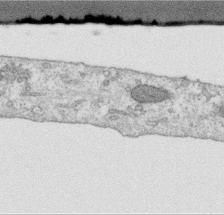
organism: Human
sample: Centriole in RPE cells